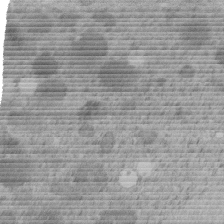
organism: C. elegans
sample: C. elegans embryo early stage